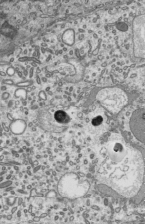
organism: Mouse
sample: Mouse epididymis efferent ductule cilia